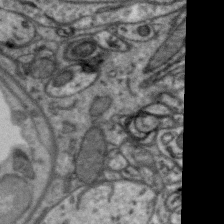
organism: Zebra finch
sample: Brain